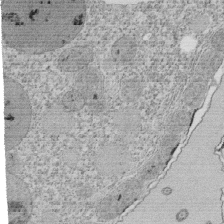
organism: Tetrahymena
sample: Cilia in tetrahymena